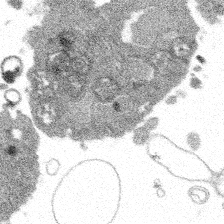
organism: Spongilla lacustris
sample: Multiple